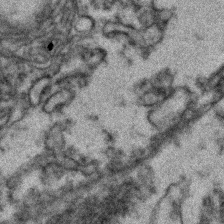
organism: Zebrafish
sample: Zebrafish embryo